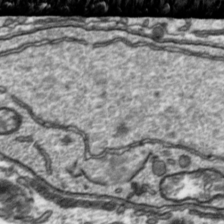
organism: Toxoplasma gondii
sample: Parasites in a vacuole inside a host cell